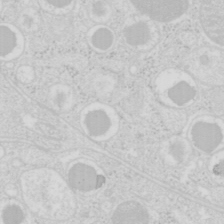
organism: Mouse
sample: Pancreas